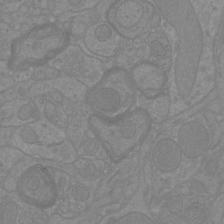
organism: Mouse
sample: Cortical neurons